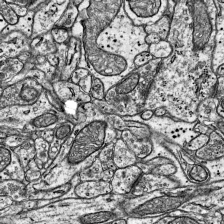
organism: Mouse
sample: Visual Cortex